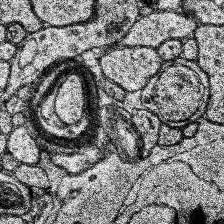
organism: Human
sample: Temporal Lobe